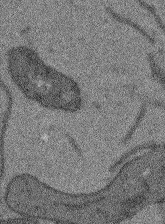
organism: Arabidopsis thaliana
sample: Root tip